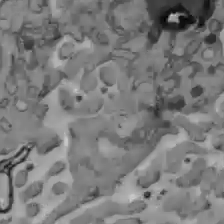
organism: C57BL Mouse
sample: Liver